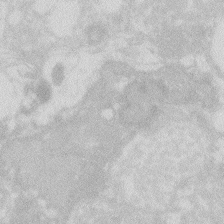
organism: Zebrafish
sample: Macrophage